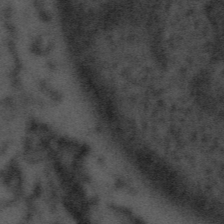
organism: Tuwongella immobilis